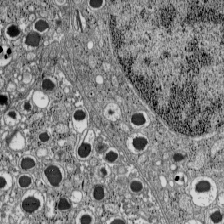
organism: C57BL Mouse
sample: Pancreatic islet